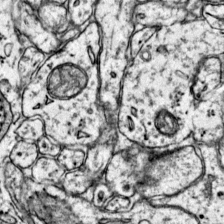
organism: Mouse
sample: Primary visual cortex